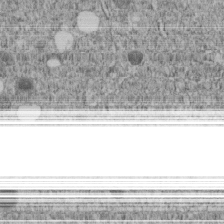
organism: C. elegans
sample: C. elegans embryo early stage